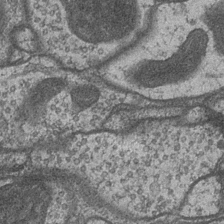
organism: Drosophila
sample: Optic medulla